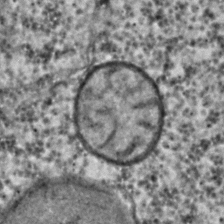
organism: C. elegans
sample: C. elegans embryo